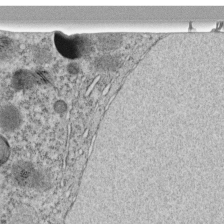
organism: C. elegans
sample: C. elegans embryo early stage